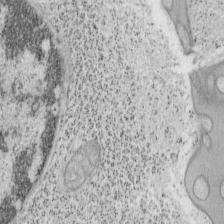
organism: Mouse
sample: OT-I killer T cells with ID8 ovarian cancer cells